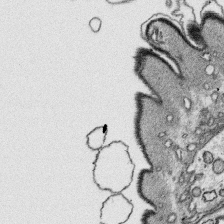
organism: Platynereis dumerilii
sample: Parapodia